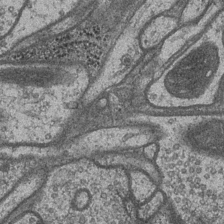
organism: Drosophila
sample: Optic medulla